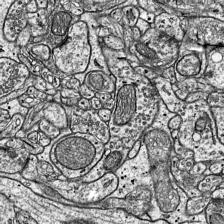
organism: Mouse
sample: Visual Cortex